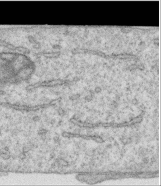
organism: Human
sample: Centriole in RPE cells